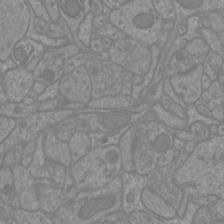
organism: Mouse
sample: Cortical neurons